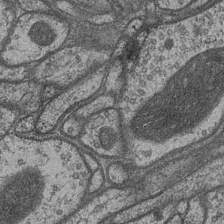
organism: Drosophila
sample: Optic medulla